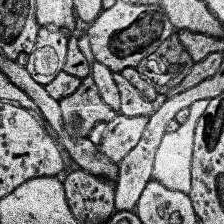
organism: Human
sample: Temporal Lobe